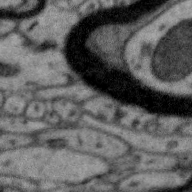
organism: Zebra finch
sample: Brain